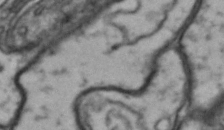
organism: Drosophila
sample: Brain